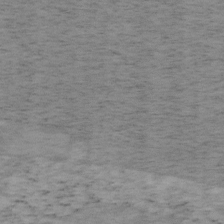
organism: Mouse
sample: OT-I killer T cells with ID8 ovarian cancer cells